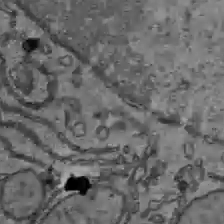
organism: C57BL Mouse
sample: Liver